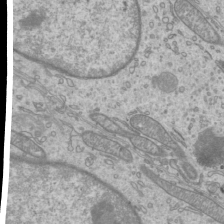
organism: Mouse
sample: Cilia; mouse epididymis